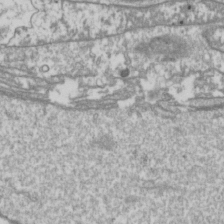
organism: Drosophila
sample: Cell division; meiosis; drosophila spermatocytes